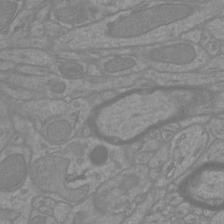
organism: Mouse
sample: Cortical neurons